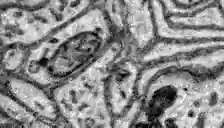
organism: Zebrafish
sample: Brain